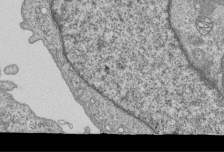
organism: Human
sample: MDA-MB-231 cells